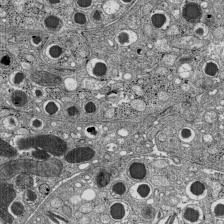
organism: C57BL Mouse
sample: Pancreatic islet